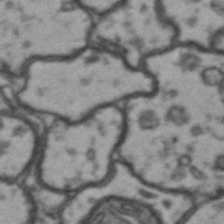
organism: Drosophila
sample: Brain